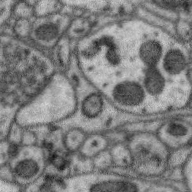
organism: Zebra finch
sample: Brain